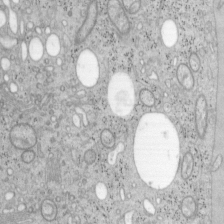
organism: Mouse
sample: OT-I killer T cells with ID8 ovarian cancer cells